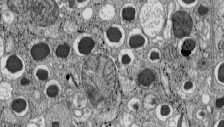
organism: C57BL Mouse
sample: Pancreatic islet